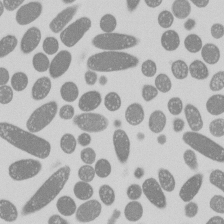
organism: E. coli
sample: Bacterial nucleoid